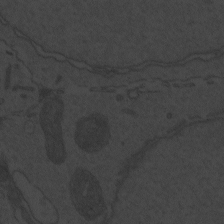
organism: Zebrafish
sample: Macrophage infected with Toxoplasma gondii